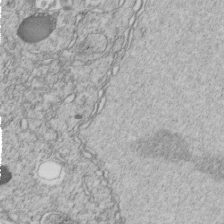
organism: C. elegans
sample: C. elegans embryo early stage